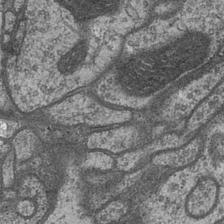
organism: Drosophila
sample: Optic medulla